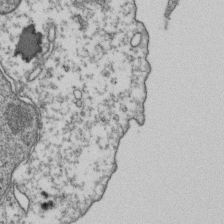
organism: Human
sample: Activated Jurkat CD4+ T cells